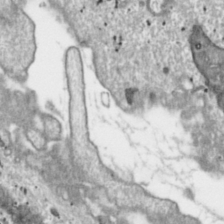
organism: Toxoplasma gondii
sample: Parasites in a vacuole inside a host cell